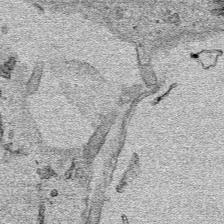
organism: Human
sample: Mitochondria in HCT116 cells